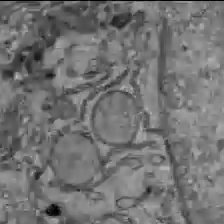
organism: C57BL Mouse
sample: Liver